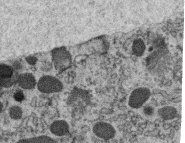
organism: C. elegans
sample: C. elegans oocyte; sperm cells